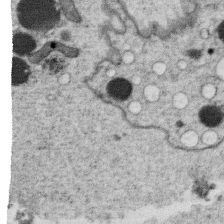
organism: C. elegans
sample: C. elegans oocyte; sperm cells